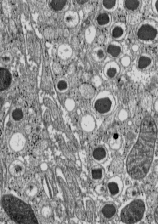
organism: C57BL Mouse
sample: Pancreatic islet